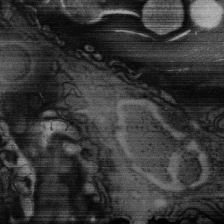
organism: Rat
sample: Salivary granule